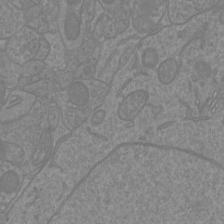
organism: Mouse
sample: Cortical neurons